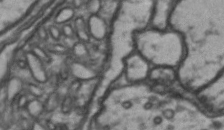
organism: Drosophila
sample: Brain